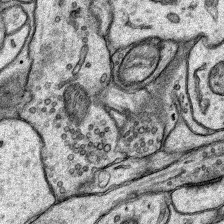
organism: Rat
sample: Hippocampus